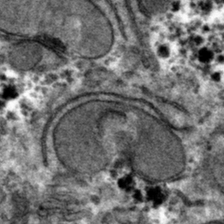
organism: Mouse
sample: Mouse hepatocytes